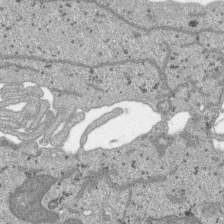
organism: Human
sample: Lung epithelial cells infected with SARS-CoV-2